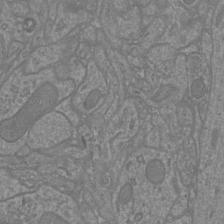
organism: Mouse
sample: Cortical neurons